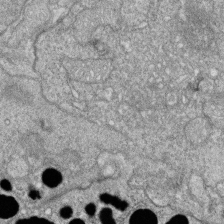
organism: Zebrafish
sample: Cilia; retinal pigment epithelium